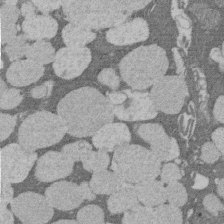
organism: Rat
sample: Salivary granule